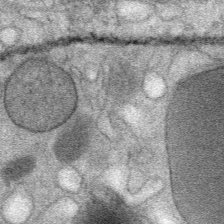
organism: Mouse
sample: Mouse Salivary gland